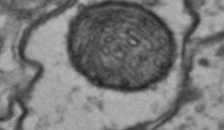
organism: Drosophila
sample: Brain